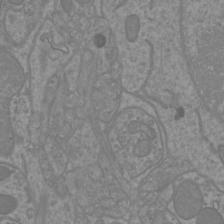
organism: Mouse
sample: Cortical neurons